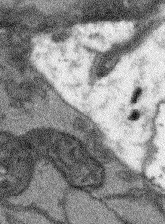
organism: Arabidopsis thaliana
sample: Root tip